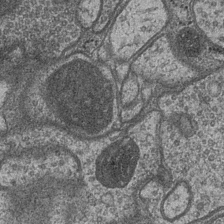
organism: Drosophila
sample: Optic medulla